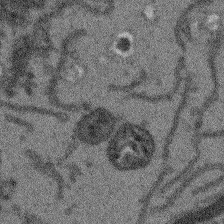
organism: Arabidopsis thaliana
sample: Root tip